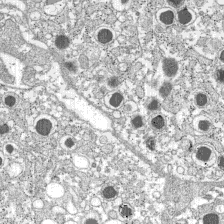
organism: C57BL Mouse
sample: Pancreatic islet